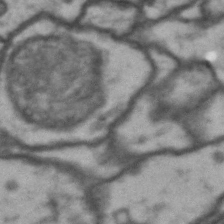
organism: Drosophila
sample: Brain